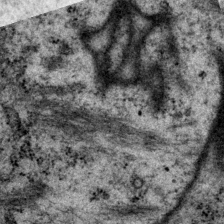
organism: P. pacificus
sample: Pharynx